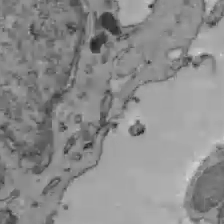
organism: C57BL Mouse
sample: Liver